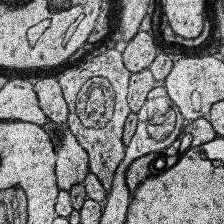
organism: Human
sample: Temporal Lobe